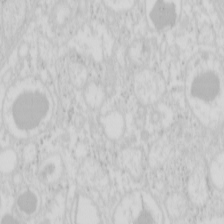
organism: Mouse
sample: Pancreas